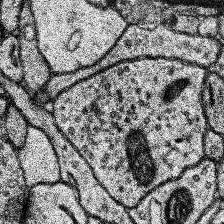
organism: Human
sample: Temporal Lobe